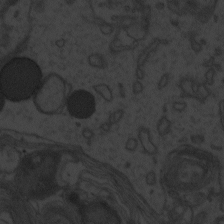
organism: Zebrafish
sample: Macrophage infected with Toxoplasma gondii